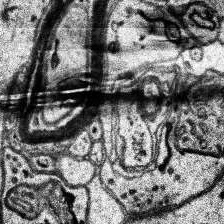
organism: Human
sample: Temporal Lobe